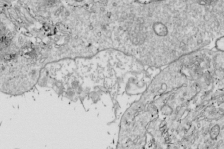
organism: Drosophila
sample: Cell division; meiosis; drosophila spermatocytes